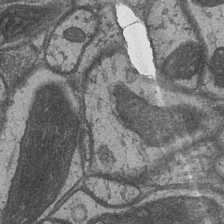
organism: Drosophila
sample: Optic medulla